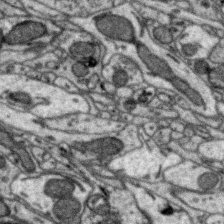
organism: Zebra finch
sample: Brain